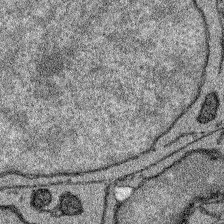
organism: Zebrafish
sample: Larval olfactory bulb